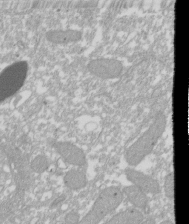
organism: Xenopus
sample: Cilia; centrioles in frog embryo cells